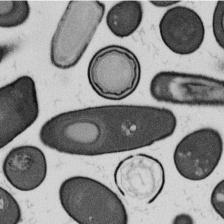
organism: B. subtilis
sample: Bacterial spore